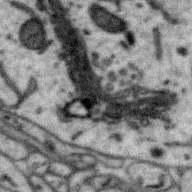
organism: Zebra finch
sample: Brain